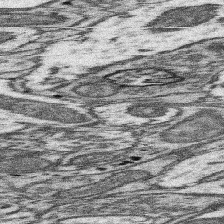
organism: Mouse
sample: Somatosensory cortex neuropil